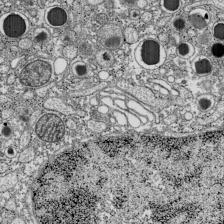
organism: C57BL Mouse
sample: Pancreatic islet